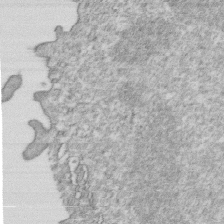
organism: Mouse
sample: Activated OT-1 CD8+ T cells